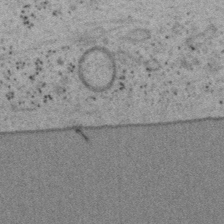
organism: Human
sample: HeLa cells